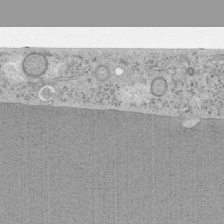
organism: Human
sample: HeLa cells